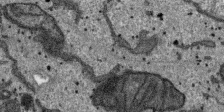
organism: Human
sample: Lung epithelial cells, uninfected (mock) control